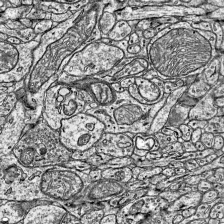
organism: Mouse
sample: Visual Cortex